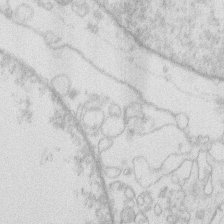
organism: Human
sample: Macrophage cells